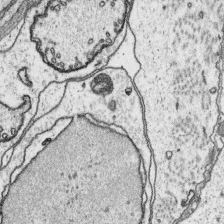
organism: Platynereis dumerilii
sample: Parapodia